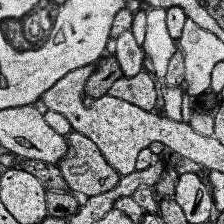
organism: Human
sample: Temporal Lobe